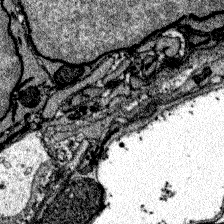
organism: Zebrafish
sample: Larval olfactory bulb